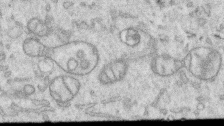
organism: Human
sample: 1205lu cells